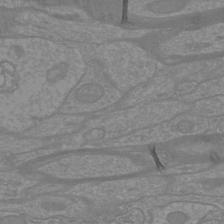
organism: Mouse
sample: Cortical neurons